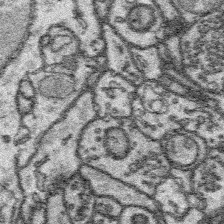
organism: Platynereis dumerilii